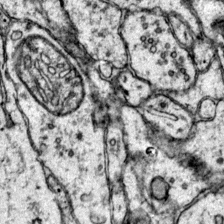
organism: Mouse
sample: Primary visual cortex